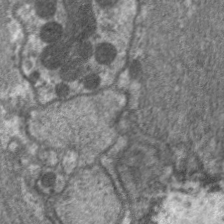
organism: C. elegans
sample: Pharynx